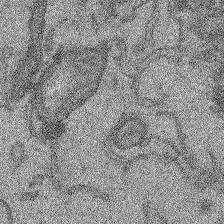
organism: Human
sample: HeLa cells